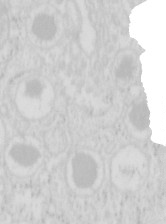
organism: Mouse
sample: Pancreas